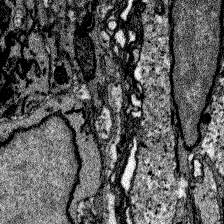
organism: Zebrafish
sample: Larval olfactory bulb